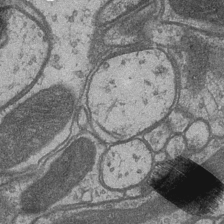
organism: Drosophila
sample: Optic medulla